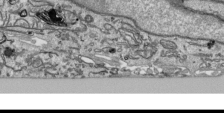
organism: Human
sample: Mitochondria in HCT116 cells